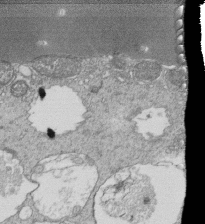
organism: Tetrahymena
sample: Cilia in tetrahymena